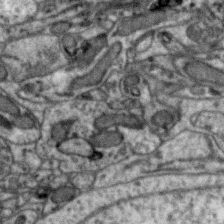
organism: Zebra finch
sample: Brain